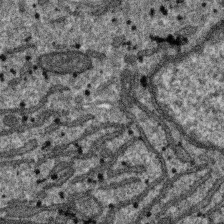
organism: Human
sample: Lung epithelial cells infected with SARS-CoV-2